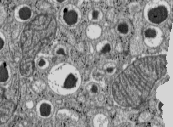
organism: C57BL Mouse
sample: Pancreatic islet